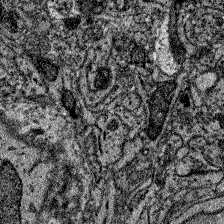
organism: Zebrafish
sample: Larval olfactory bulb